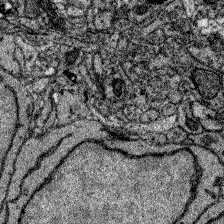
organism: Zebrafish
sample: Larval olfactory bulb